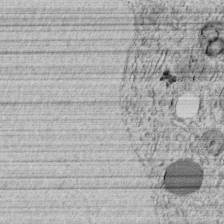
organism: C. elegans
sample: C. elegans embryo early stage